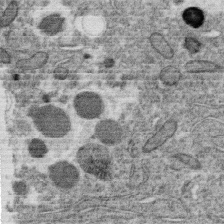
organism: C. elegans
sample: C. elegans oocyte; sperm cells